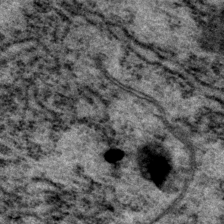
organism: P. pacificus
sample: Pharynx